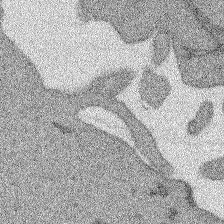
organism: Human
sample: HeLa cells